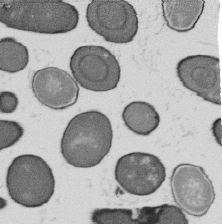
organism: B. subtilis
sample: Bacterial spore